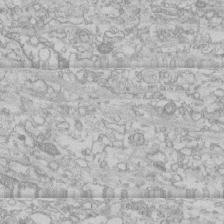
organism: Human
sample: CRL-1474